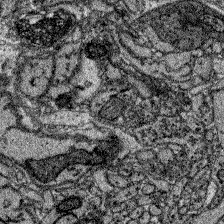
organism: Zebrafish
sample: Larval olfactory bulb